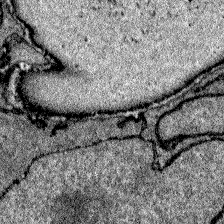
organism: Zebrafish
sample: Larval olfactory bulb